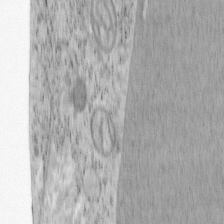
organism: Human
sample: HeLa cells